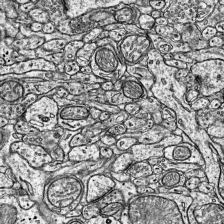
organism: Mouse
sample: Visual Cortex